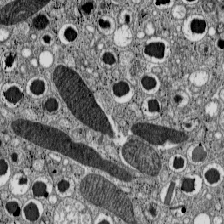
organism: C57BL Mouse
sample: Pancreatic islet